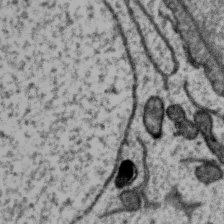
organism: Zebra finch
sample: Brain